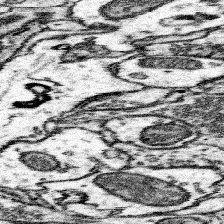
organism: Mouse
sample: Somatosensory cortex neuropil